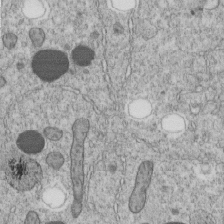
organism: C. elegans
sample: C. elegans embryo early stage